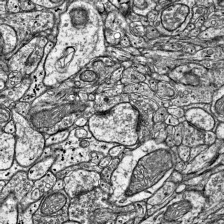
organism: Mouse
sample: Visual Cortex